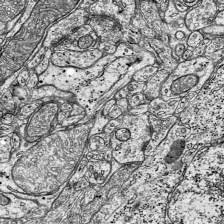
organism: Mouse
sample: Visual Cortex